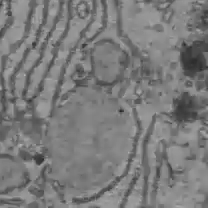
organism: C57BL Mouse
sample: Liver